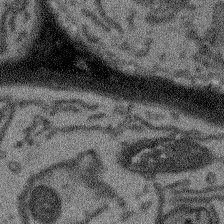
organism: Arabidopsis thaliana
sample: Root tip